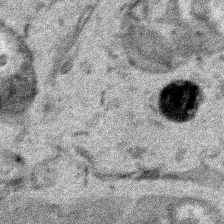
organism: Human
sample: Mitochondria in HCT116 cells